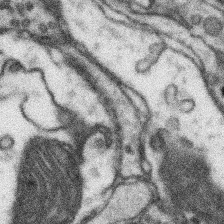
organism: Mouse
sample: Somatosensory cortex neuropil